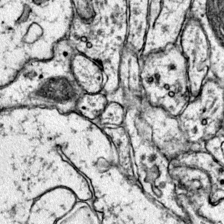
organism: Mouse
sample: Primary visual cortex